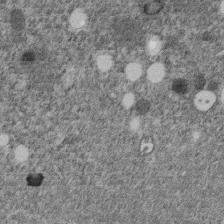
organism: C. elegans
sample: C. elegans embryo early stage